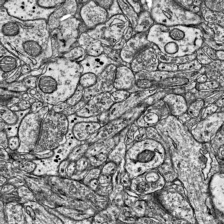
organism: Mouse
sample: Visual Cortex